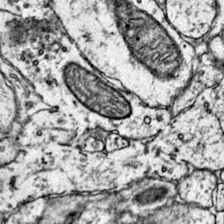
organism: Mouse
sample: Primary visual cortex